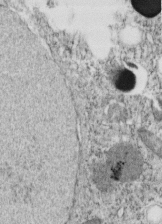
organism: C. elegans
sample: C. elegans embryo early stage